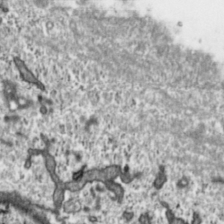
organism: Toxoplasma gondii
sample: Parasites in a vacuole inside a host cell